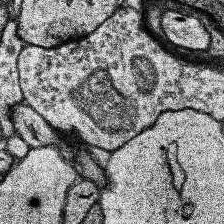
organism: Human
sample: Temporal Lobe